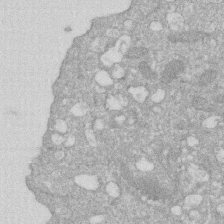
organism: Human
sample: HIV infected U937 cells